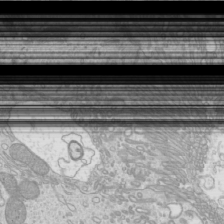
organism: Mouse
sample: Cilia; mouse epididymis